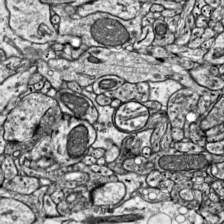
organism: Mouse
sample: Visual Cortex